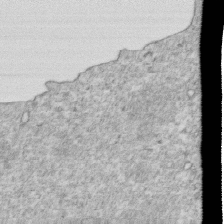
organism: Mouse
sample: Activated OT-1 CD8+ T cells